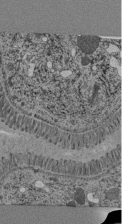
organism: C. elegans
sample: C. elegans pharynx